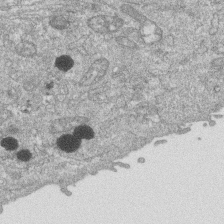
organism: Human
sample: HeLa cell HIV synapse